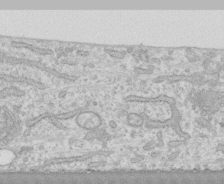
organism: Human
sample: CRL-1474